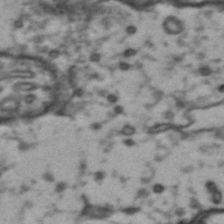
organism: Drosophila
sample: Brain